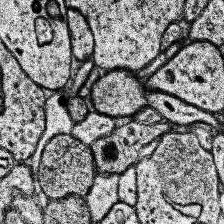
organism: Human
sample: Temporal Lobe